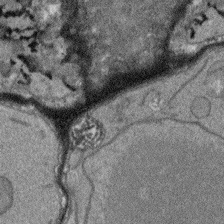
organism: Arabidopsis thaliana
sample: Root tip